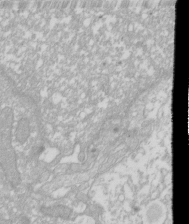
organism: Xenopus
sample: Cilia; centrioles in frog embryo cells